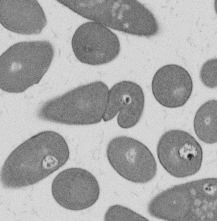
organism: B. subtilis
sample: Bacterial spore